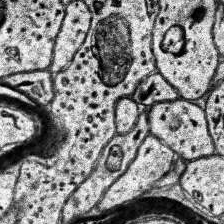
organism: Human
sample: Temporal Lobe